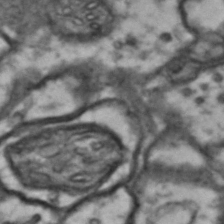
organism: Drosophila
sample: Brain